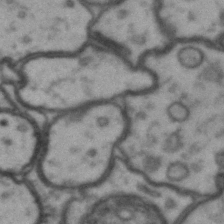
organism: Drosophila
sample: Brain